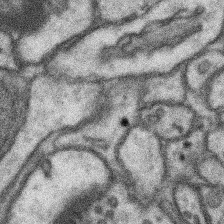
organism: Mouse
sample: Somatosensory cortex neuropil